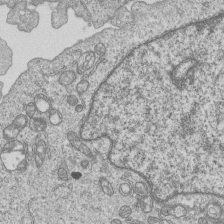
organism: Human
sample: MDA-MB-231 cells